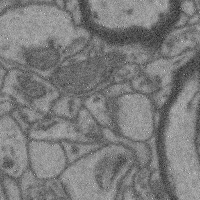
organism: Mouse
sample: Cerebral cortex